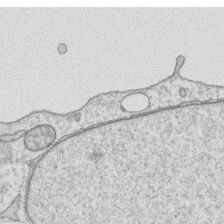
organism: Human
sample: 1205lu cells